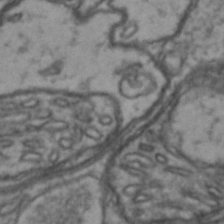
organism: Drosophila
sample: Brain